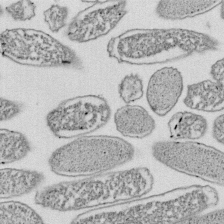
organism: E. coli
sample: Bacterial nucleoid